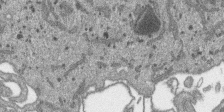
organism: Human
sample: Lung epithelial cells infected with SARS-CoV-2